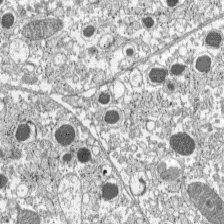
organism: C57BL Mouse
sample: Pancreatic islet